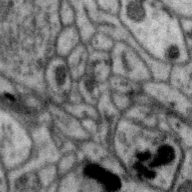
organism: Zebra finch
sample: Brain